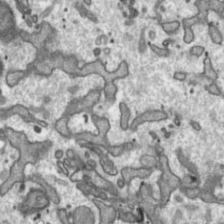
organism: Toxoplasma gondii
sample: Parasites in a vacuole inside a host cell